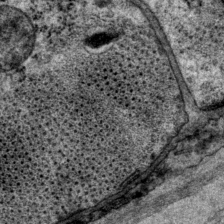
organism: P. pacificus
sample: Pharynx